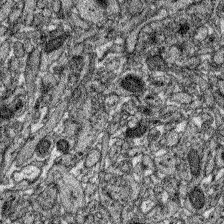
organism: Zebrafish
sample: Larval olfactory bulb